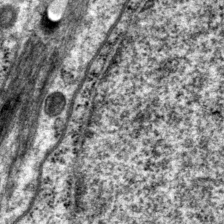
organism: P. pacificus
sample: Pharynx